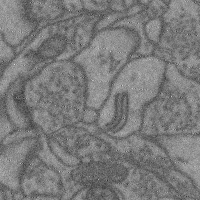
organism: Mouse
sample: Cerebral cortex